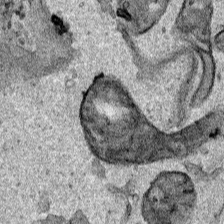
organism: Human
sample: Mitochondria in HCT116 cells